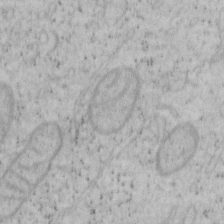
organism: Human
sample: HeLa cells